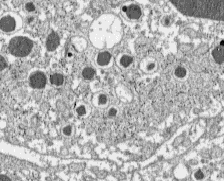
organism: C57BL Mouse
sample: Pancreatic islet